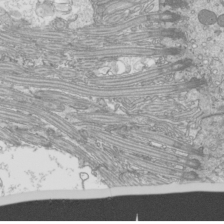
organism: Mouse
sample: Cilia; mouse epididymis